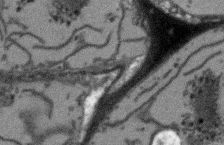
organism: Arabidopsis thaliana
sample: Root tip